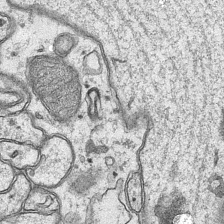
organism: Mouse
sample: CA1 Hippocampus